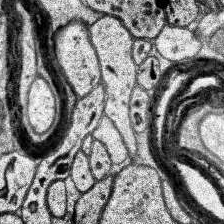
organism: Human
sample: Temporal Lobe